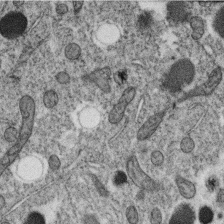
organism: C. elegans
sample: C. elegans oocyte; sperm cells